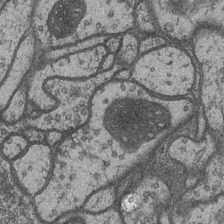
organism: Drosophila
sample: Optic medulla